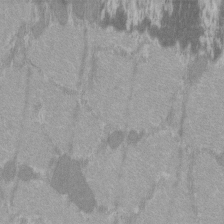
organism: C57BL Mouse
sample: Tibialis anterior muscle cell